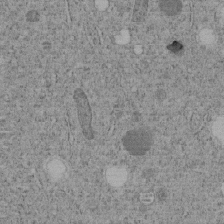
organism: C. elegans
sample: C. elegans embryo early stage